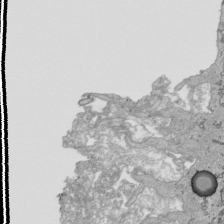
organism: Human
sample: Mitochondria in HCT116 cells